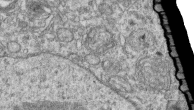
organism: Human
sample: HeLa cell HIV synapse